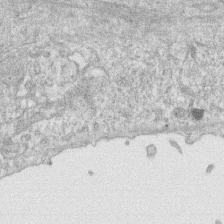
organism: Human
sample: HeLa cell HIV synapse